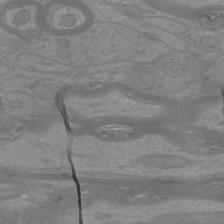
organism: Mouse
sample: Cortical neurons